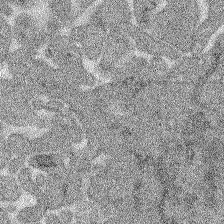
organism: Human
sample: HeLa cells